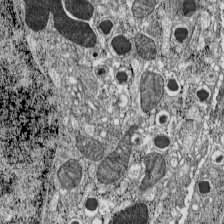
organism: C57BL Mouse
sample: Pancreatic islet